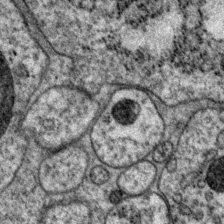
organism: P. pacificus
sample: Pharynx